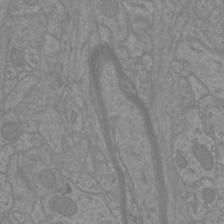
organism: Mouse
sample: Cortical neurons